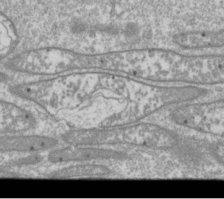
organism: Drosophila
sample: Cell division; meiosis; drosophila spermatocytes